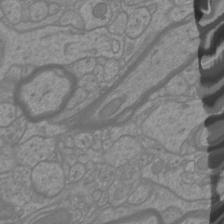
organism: Mouse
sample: Cortical neurons